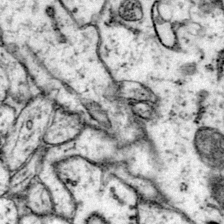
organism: Mouse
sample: Primary visual cortex